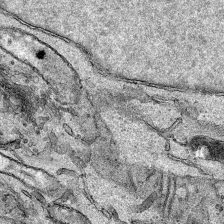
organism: Human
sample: Mitochondria in HCT116 cells